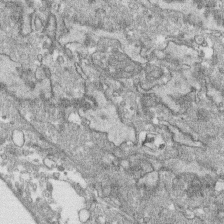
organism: Human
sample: CRL-1474